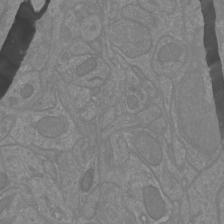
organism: Mouse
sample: Cortical neurons